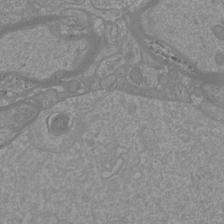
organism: Mouse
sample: Cortical neurons